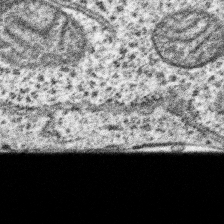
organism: Human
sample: HeLa cells